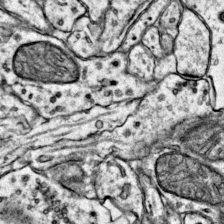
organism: Mouse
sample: Primary visual cortex